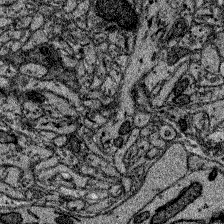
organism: Zebrafish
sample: Larval olfactory bulb